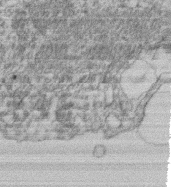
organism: Mouse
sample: T cell stromal cell synapse